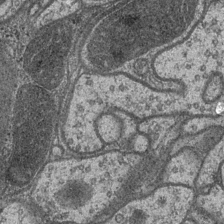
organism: Drosophila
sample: Optic medulla